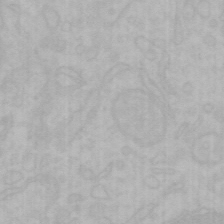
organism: Mouse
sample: Choroid plexus